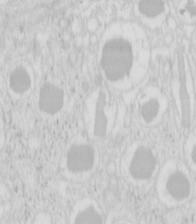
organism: Mouse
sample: Pancreas